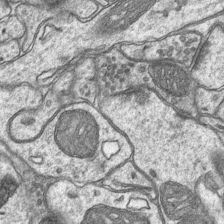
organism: Mouse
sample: CA1 Hippocampus